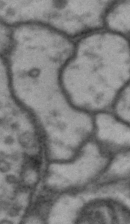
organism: Drosophila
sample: Brain